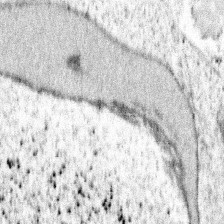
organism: Human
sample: HeLa cells